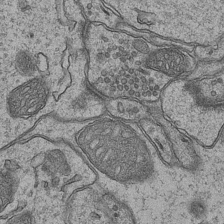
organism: Mouse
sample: CA1 Hippocampus